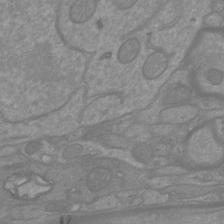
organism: Mouse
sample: Cortical neurons